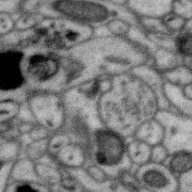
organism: Zebra finch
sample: Brain